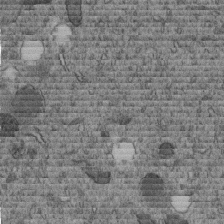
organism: C. elegans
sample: C. elegans embryo early stage